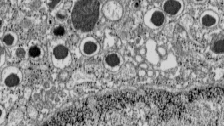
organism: C57BL Mouse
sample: Pancreatic islet